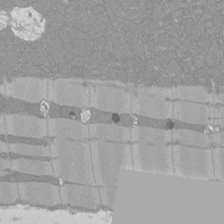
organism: Rat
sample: Left ventricle